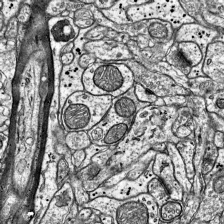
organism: Mouse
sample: Visual Cortex